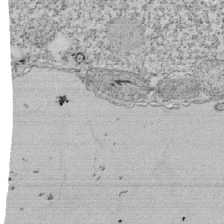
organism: Tetrahymena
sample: Cilia in tetrahymena